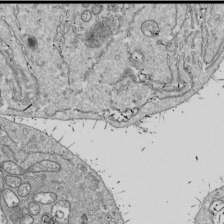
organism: Drosophila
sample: Cell division; meiosis; drosophila spermatocytes